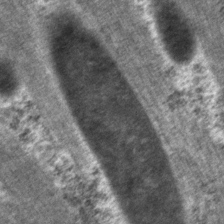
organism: P. pacificus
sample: Pharynx